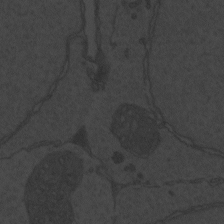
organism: Zebrafish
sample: Macrophage infected with Toxoplasma gondii